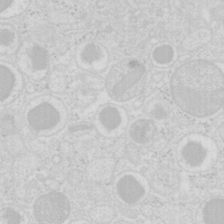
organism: Mouse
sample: Pancreas